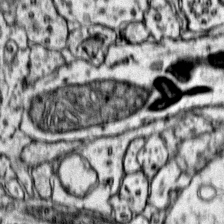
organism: Mouse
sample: Primary visual cortex